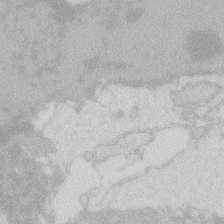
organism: Zebrafish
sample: Macrophage